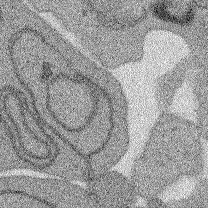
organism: Human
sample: HeLa cells